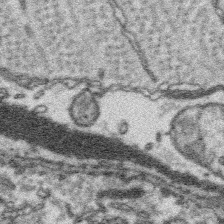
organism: Platynereis dumerilii